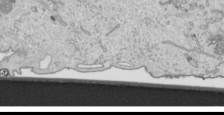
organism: Human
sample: Mitochondria in HCT116 cells